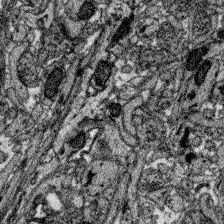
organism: Zebrafish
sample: Larval olfactory bulb